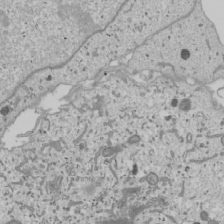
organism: Human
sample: Mitochondria in U2OS cells